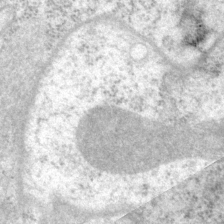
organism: P. pacificus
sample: Pharynx